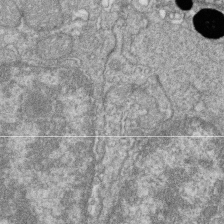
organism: Zebrafish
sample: Cilia; retinal pigment epithelium